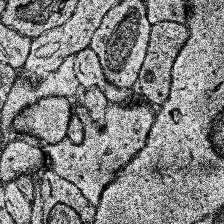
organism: Human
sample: Temporal Lobe